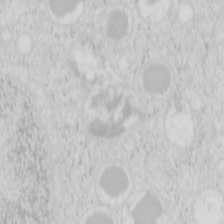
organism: Mouse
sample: Pancreas